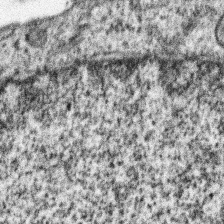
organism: Human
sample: HeLa cells